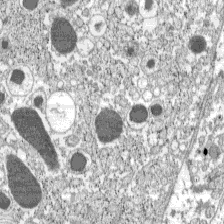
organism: C57BL Mouse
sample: Pancreatic islet